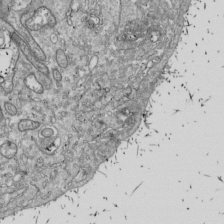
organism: Drosophila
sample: Cell division; meiosis; drosophila spermatocytes